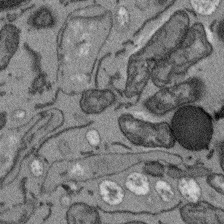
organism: Arabidopsis thaliana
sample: Root tip